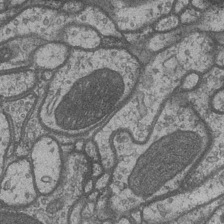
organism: Drosophila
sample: Optic medulla